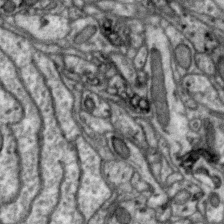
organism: Zebra finch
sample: Brain